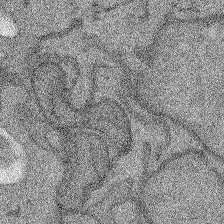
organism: Human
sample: HeLa cells